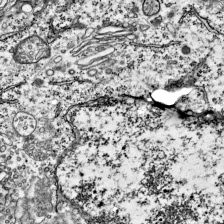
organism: Mouse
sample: Visual Cortex